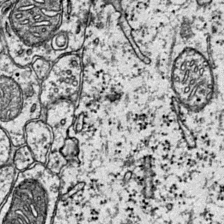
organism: Mouse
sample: Primary visual cortex